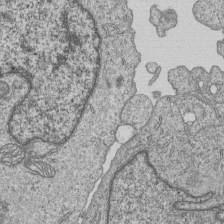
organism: Human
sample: MDA-MB-231 cells